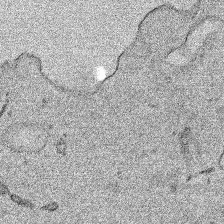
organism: Human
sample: Mitochondria in HCT116 cells